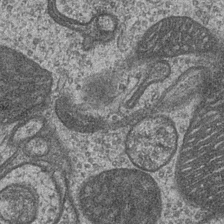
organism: Drosophila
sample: Optic medulla